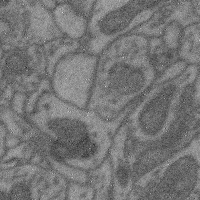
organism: Mouse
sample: Cerebral cortex